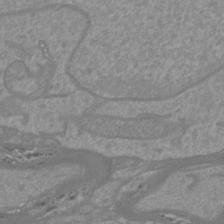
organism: Mouse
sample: Cortical neurons